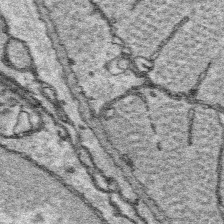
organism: Platynereis dumerilii